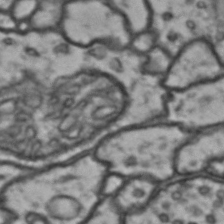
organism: Drosophila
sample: Brain